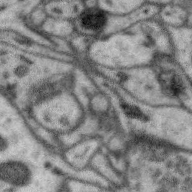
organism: Zebra finch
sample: Brain